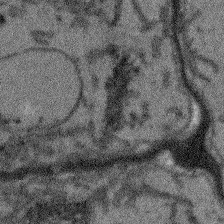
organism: Arabidopsis thaliana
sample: Root tip